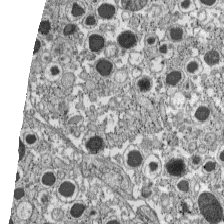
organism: C57BL Mouse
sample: Pancreatic islet